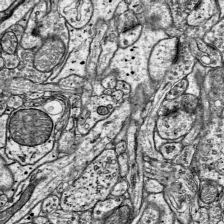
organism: Mouse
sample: Visual Cortex